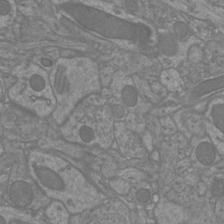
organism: Mouse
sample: Cortical neurons